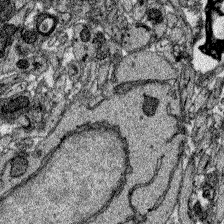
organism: Zebrafish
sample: Larval olfactory bulb